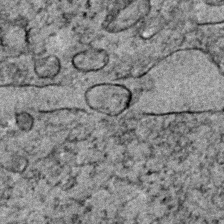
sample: Trachea